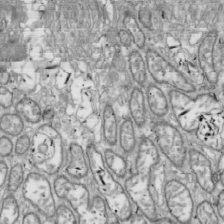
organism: Drosophila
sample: Cell division; meiosis; drosophila spermatocytes